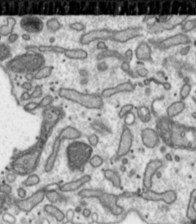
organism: Toxoplasma gondii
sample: Parasites in a vacuole inside a host cell